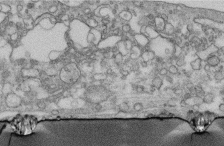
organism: Human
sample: Centriole in fibroblast cells